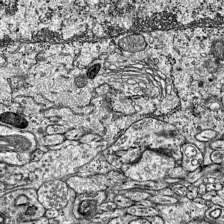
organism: Mouse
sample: Visual Cortex